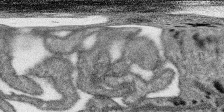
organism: Human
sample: Lung epithelial cells infected with SARS-CoV-2